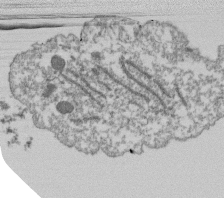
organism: Dictyostelium discoideum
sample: Dictyostelium multivesicular bodies